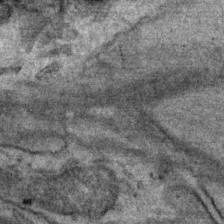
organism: Mouse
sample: Mouse Salivary gland